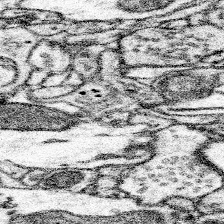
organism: Mouse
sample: Somatosensory cortex neuropil